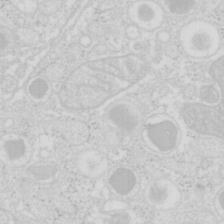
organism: Mouse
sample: Pancreas